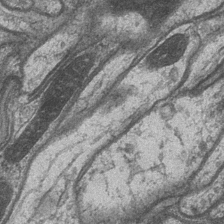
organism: Drosophila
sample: Optic medulla